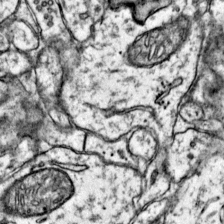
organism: Mouse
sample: Primary visual cortex